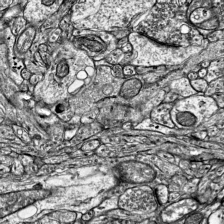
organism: Mouse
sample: Visual Cortex